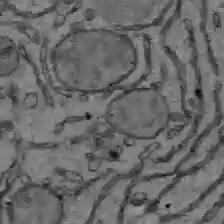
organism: C57BL Mouse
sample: Liver